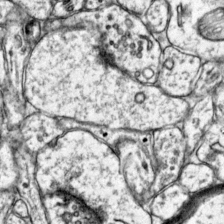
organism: Mouse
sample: Primary visual cortex